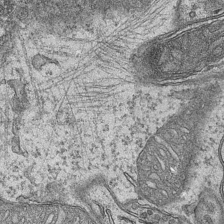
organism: Mouse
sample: CA1 Hippocampus